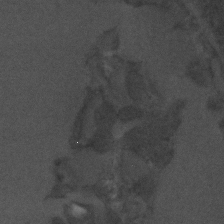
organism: C. elegans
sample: C. elegans embryo